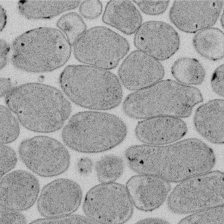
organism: E. coli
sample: Bacterial nucleoid